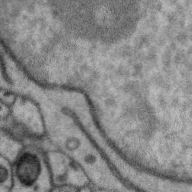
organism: Zebra finch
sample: Brain